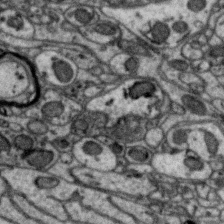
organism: Zebra finch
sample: Brain